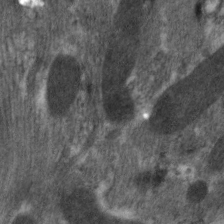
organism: C. elegans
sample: Pharynx